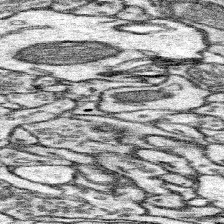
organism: Mouse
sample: Somatosensory cortex neuropil